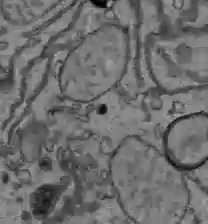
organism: C57BL Mouse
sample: Liver